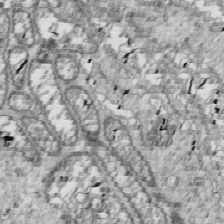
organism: Drosophila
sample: Cell division; meiosis; drosophila spermatocytes